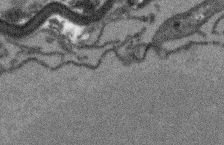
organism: Arabidopsis thaliana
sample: Root tip